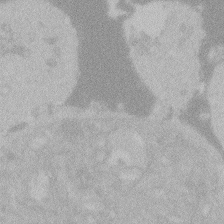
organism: Zebrafish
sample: Macrophage infected with Toxoplasma gondii